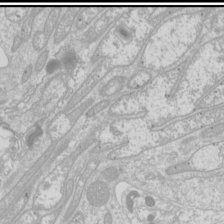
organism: Drosophila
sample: Cell division; meiosis; drosophila spermatocytes